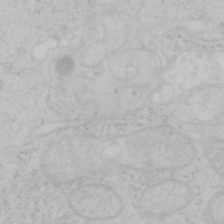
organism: Mouse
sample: OT-I killer T cells with ID8 ovarian cancer cells